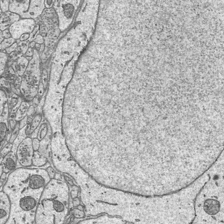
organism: Mouse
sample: Suprachiasmatic nucleus